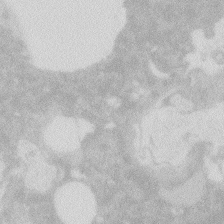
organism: Zebrafish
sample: Macrophage